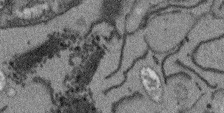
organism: Arabidopsis thaliana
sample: Root tip